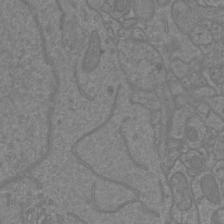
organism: Mouse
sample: Cortical neurons